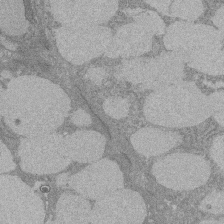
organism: Rat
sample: Salivary granule